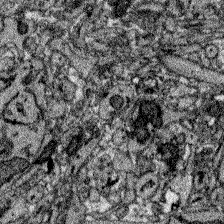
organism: Zebrafish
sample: Larval olfactory bulb